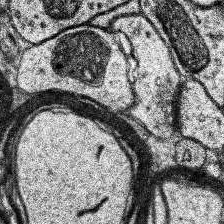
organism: Human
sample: Temporal Lobe